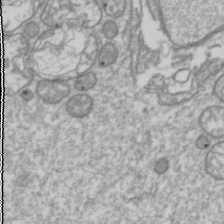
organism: Drosophila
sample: Cell division; meiosis; drosophila spermatocytes